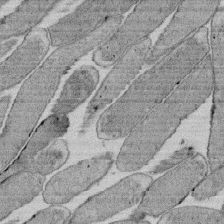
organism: E. coli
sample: Bacterial nucleoid